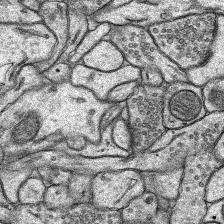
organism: Rat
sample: Hippocampus